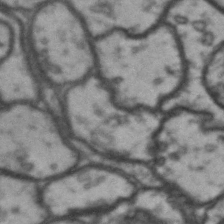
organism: Drosophila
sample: Brain